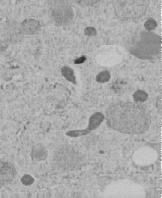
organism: C. elegans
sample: C. elegans embryo early stage